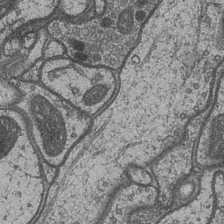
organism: Drosophila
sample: Optic medulla